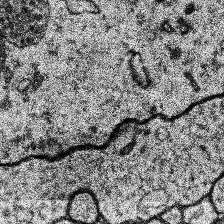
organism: Human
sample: Temporal Lobe